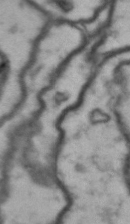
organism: Drosophila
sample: Brain